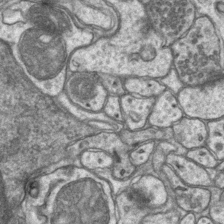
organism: Mouse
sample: CA1 Hippocampus